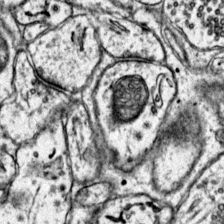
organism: Mouse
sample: Primary visual cortex